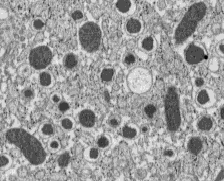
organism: C57BL Mouse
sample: Pancreatic islet